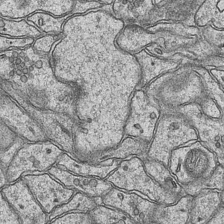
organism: Mouse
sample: CA1 Hippocampus